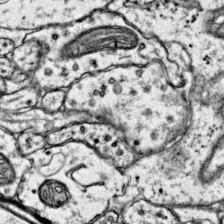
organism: Mouse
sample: Primary visual cortex